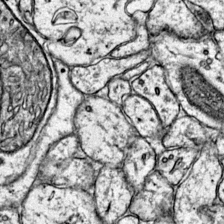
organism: Mouse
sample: Primary visual cortex